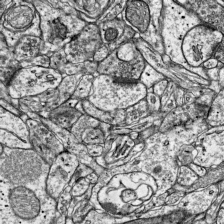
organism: Mouse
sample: Visual Cortex